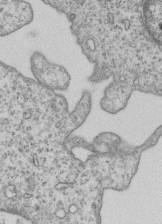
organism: Human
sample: MDA-MB-231 cells